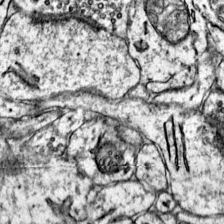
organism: Mouse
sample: Primary visual cortex